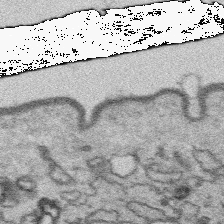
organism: Platynereis dumerilii